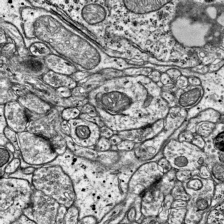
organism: Mouse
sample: Visual Cortex